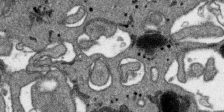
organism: Human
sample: Lung epithelial cells, uninfected (mock) control